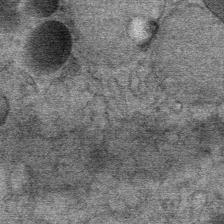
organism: Mouse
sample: Mouse Salivary gland